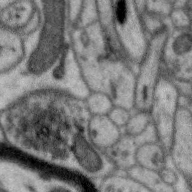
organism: Zebra finch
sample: Brain